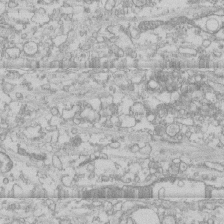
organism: Human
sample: CRL-1474